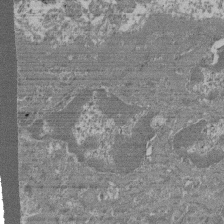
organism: Mouse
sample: Glomerulus